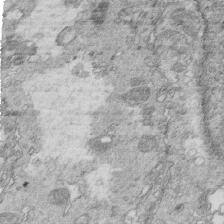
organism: Mouse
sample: Multiciliated cells